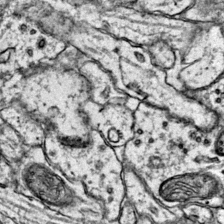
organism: Mouse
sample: Primary visual cortex